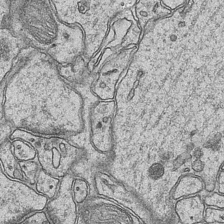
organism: Mouse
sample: CA1 Hippocampus